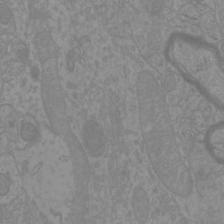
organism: Mouse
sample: Cortical neurons